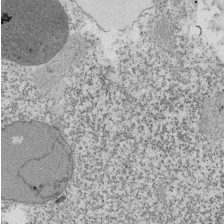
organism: Tetrahymena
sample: Cilia in tetrahymena